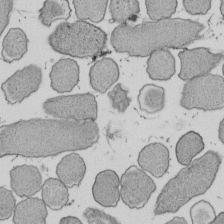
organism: E. coli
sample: Bacterial nucleoid